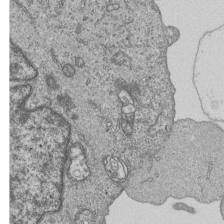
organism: Human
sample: MDA-MB-231 cells